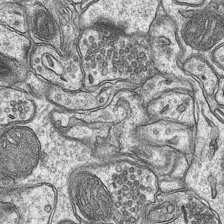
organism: Mouse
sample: CA1 Hippocampus